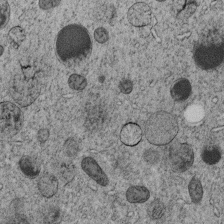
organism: C. elegans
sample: C. elegans embryo early stage